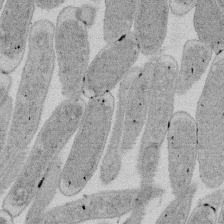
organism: E. coli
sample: Bacterial nucleoid